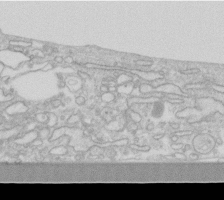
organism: Human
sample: Fibroblast cells